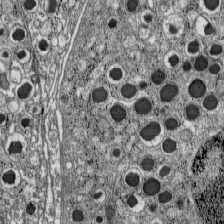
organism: C57BL Mouse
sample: Pancreatic islet